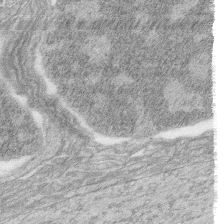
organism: Zebrafish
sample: synaptic ribbons in rod cells and cone cells